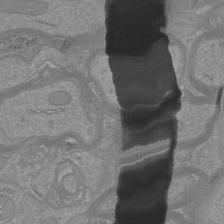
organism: Mouse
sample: Cortical neurons